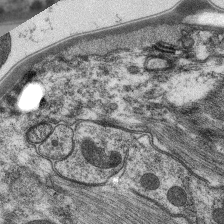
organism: C. elegans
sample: Pharynx